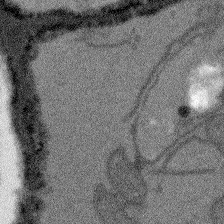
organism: Arabidopsis thaliana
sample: Root tip